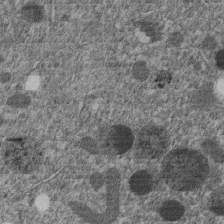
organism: C. elegans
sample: C. elegans embryo early stage